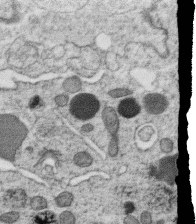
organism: C. elegans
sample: C. elegans oocyte; sperm cells